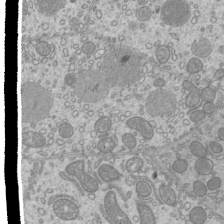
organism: Mouse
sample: Cilia; mouse epididymis